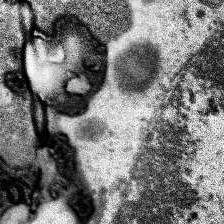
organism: Human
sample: Temporal Lobe